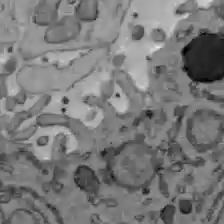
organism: C57BL Mouse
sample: Liver